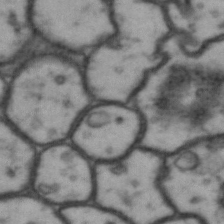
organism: Drosophila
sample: Brain